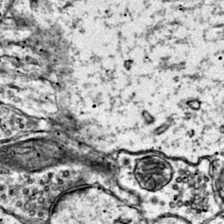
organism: Mouse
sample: Primary visual cortex